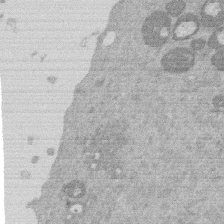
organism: Mouse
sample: Dividing mouse embryo 1 cell stage